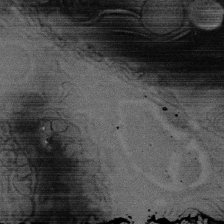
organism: Rat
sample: Salivary granule